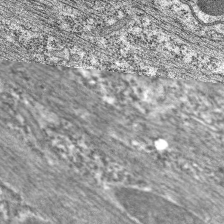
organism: C. elegans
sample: Pharynx